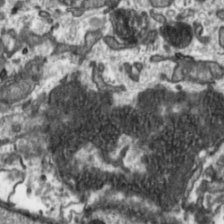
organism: Toxoplasma gondii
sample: Parasites in a vacuole inside a host cell